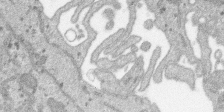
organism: Human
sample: Lung epithelial cells infected with SARS-CoV-2